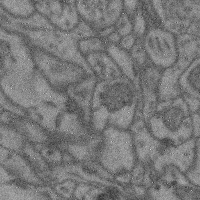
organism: Mouse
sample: Cerebral cortex